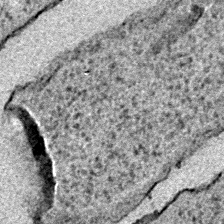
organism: E. coli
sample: E. Coli Bacteria